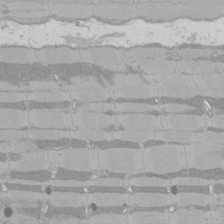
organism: Rat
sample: Left ventricle